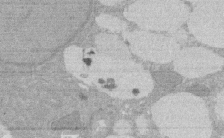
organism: Rat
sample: Salivary granule